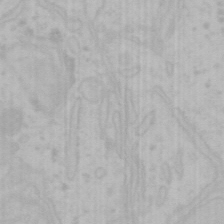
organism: Mouse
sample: Choroid plexus